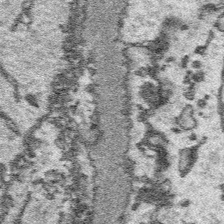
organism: Platynereis dumerilii